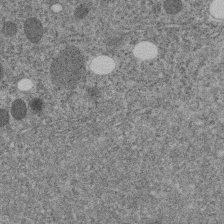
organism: C. elegans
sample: C. elegans embryo early stage